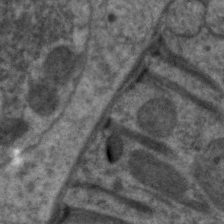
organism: C. elegans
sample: Pharynx